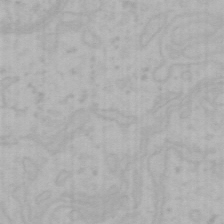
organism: Mouse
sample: Choroid plexus